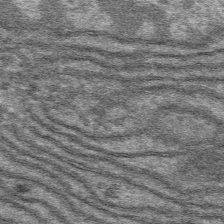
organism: Mouse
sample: Mouse hepatocytes